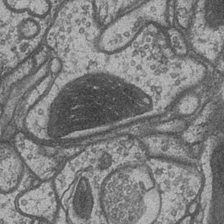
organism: Drosophila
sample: Optic medulla